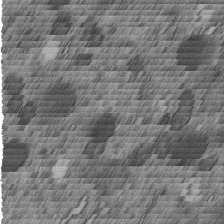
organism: C. elegans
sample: C. elegans embryo early stage